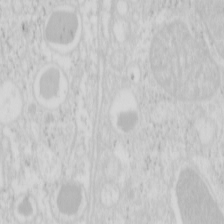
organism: Mouse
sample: Pancreas